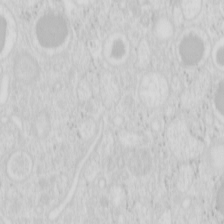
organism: Mouse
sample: Pancreas